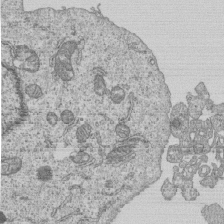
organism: Human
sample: MDA-MB-231 cells